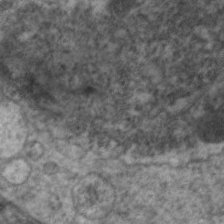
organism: C. elegans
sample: Pharynx